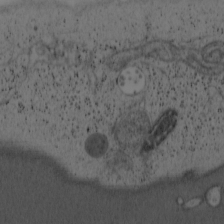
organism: African green monkey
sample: COS-7 cells